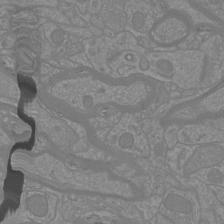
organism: Mouse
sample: Cortical neurons